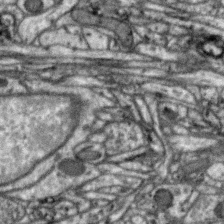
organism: Zebra finch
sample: Brain